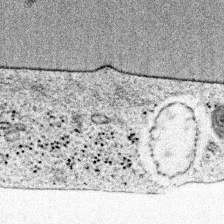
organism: Human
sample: HeLa cells